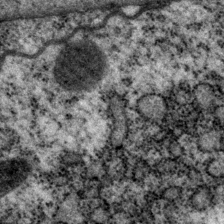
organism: P. pacificus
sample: Pharynx